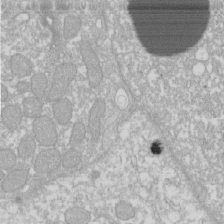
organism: Xenopus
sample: Cilia; centrioles in frog embryo cells